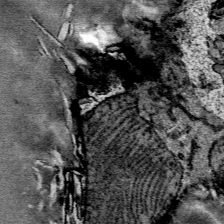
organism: Mouse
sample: Mouse Salivary gland